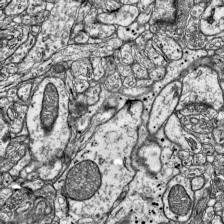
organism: Mouse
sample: Visual Cortex